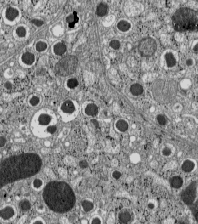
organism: C57BL Mouse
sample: Pancreatic islet